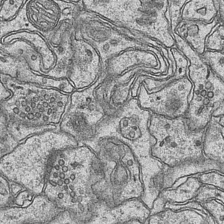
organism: Mouse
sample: CA1 Hippocampus